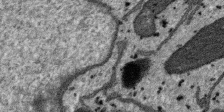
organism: Human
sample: Lung epithelial cells, uninfected (mock) control